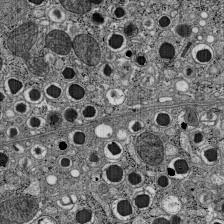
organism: C57BL Mouse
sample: Pancreatic islet